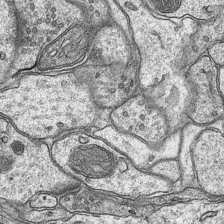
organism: Mouse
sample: CA1 Hippocampus